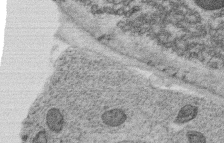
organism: C. elegans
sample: C. elegans oocyte; sperm cells